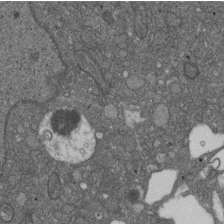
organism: Drosophila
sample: Nephrocyte